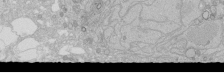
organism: Human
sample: Caco-2 cells